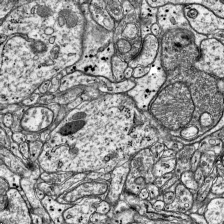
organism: Mouse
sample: Visual Cortex